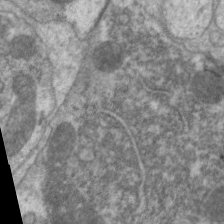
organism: C. elegans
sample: Pharynx